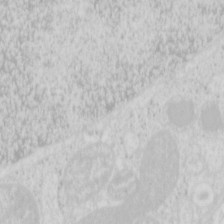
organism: Mouse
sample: Pancreas